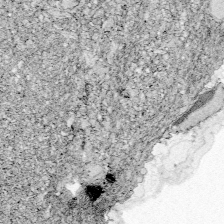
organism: Zebrafish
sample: Whole-Brain